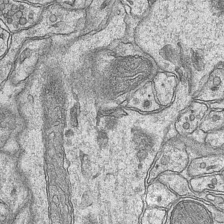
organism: Mouse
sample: CA1 Hippocampus